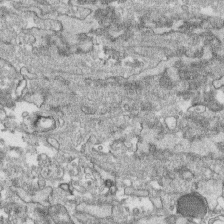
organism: Human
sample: CRL-1474